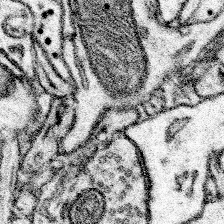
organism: Mouse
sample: Somatosensory cortex neuropil